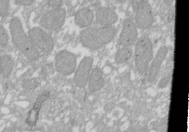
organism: Xenopus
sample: Cilia; centrioles in frog embryo cells